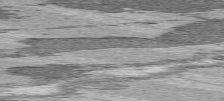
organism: C57BL Mouse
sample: Heart